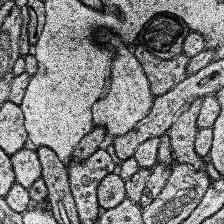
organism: Human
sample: Temporal Lobe